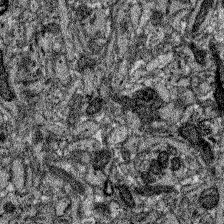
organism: Zebrafish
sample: Larval olfactory bulb